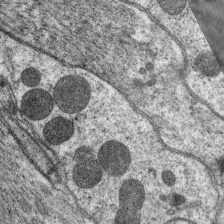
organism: C. elegans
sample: Pharynx